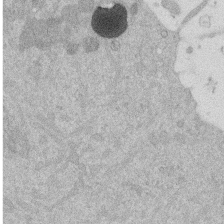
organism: Mouse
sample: Dividing mouse embryo 1 cell stage